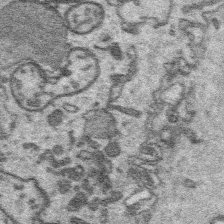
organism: Platynereis dumerilii